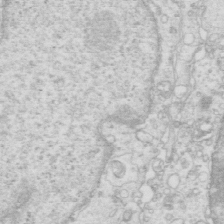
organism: Mouse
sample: Multiciliated cells